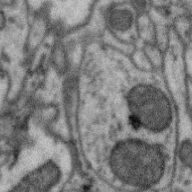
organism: Zebra finch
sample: Brain